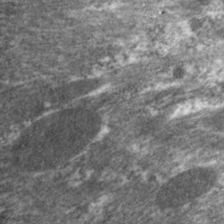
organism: C. elegans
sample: Pharynx